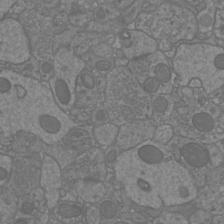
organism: Mouse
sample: Cortical neurons